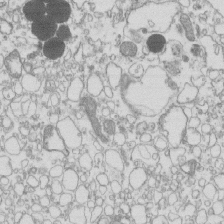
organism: Mouse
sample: Macrophages